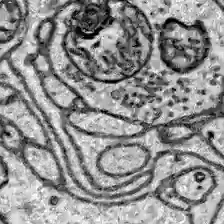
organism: Zebrafish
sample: Brain